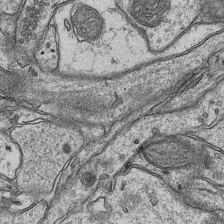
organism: Mouse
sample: CA1 Hippocampus